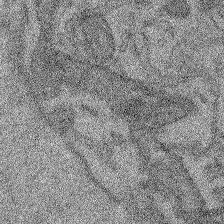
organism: Human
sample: HeLa cells